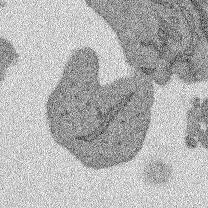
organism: Human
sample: HeLa cells